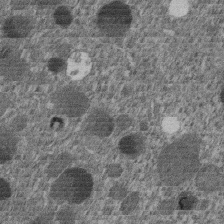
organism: C. elegans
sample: C. elegans embryo early stage